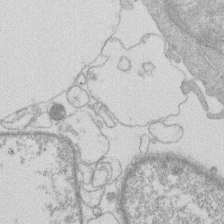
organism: Human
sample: Macrophage cells